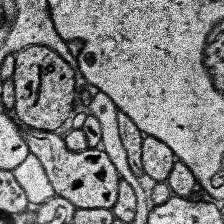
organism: Human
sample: Temporal Lobe